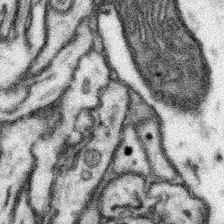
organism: Mouse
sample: Somatosensory cortex neuropil